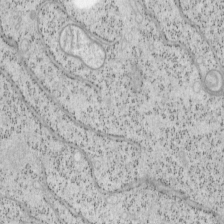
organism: Mouse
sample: OT-I killer T cells with ID8 ovarian cancer cells